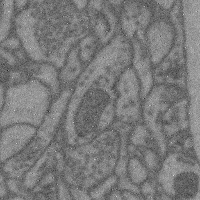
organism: Mouse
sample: Cerebral cortex